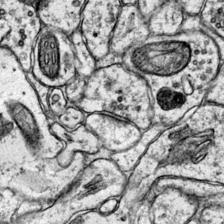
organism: Mouse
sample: Primary visual cortex